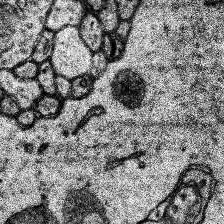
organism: Human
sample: Temporal Lobe